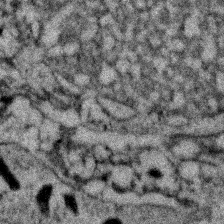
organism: Zebrafish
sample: Zebrafish embryo